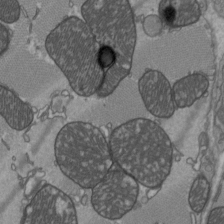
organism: C57BL Mouse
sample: Heart